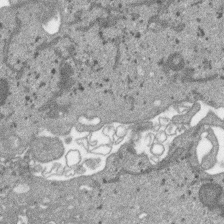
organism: Human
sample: Lung epithelial cells infected with SARS-CoV-2